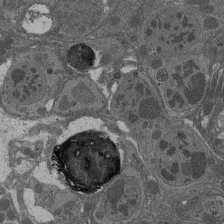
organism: Drosophila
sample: Antenna